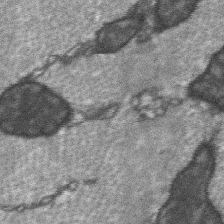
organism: C57BL Mouse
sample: Soleus